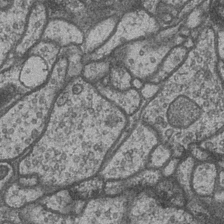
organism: Drosophila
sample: Optic medulla